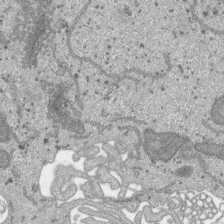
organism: Human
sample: Lung epithelial cells infected with SARS-CoV-2